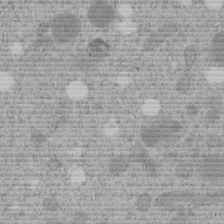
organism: C. elegans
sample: C. elegans embryo early stage